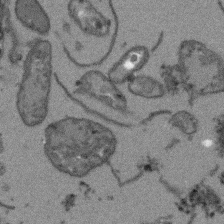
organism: Arabidopsis thaliana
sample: Root tip